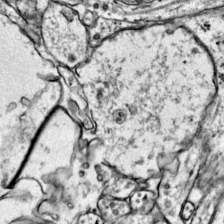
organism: Mouse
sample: Primary visual cortex